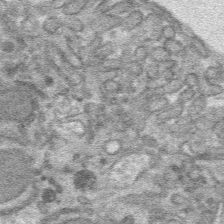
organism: Mouse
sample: Mouse hepatocytes